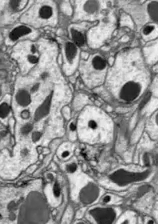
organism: Drosophila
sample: Optic lobe